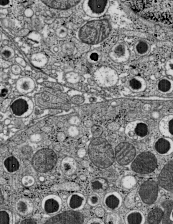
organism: C57BL Mouse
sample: Pancreatic islet